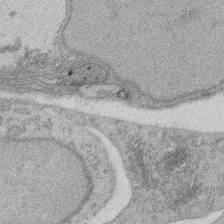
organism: Rat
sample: Salivary granule